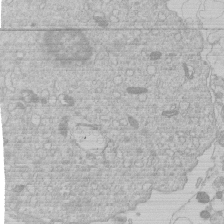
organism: Human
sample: Macrophage cells